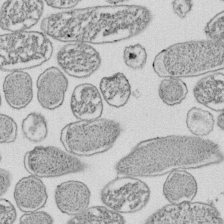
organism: E. coli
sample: Bacterial nucleoid